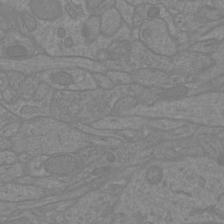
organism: Mouse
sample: Cortical neurons